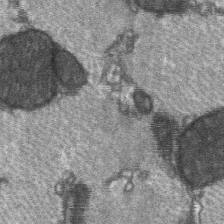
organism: C57BL Mouse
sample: Soleus